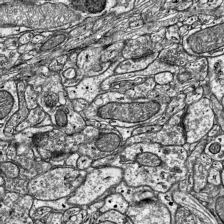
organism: Mouse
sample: Visual Cortex